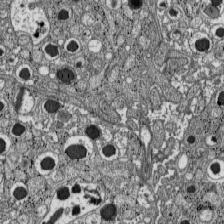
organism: C57BL Mouse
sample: Pancreatic islet